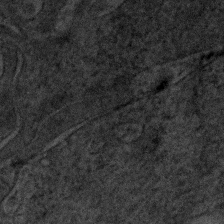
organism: Human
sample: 1205lu cells